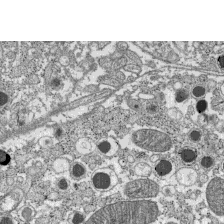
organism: C57BL Mouse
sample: Pancreatic islet